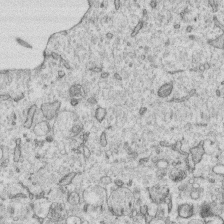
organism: Human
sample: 1205lu cells